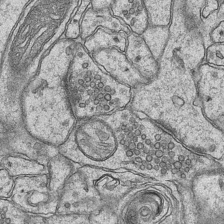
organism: Mouse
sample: CA1 Hippocampus